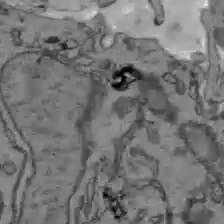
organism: C57BL Mouse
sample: Liver